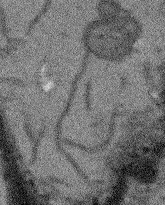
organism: Arabidopsis thaliana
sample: Root tip